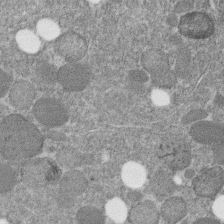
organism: C. elegans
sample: C. elegans embryo early stage